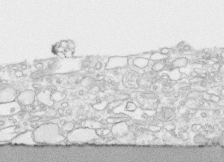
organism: Human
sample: CRL-1474